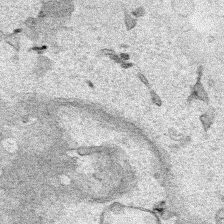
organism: Human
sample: Mitochondria in HCT116 cells